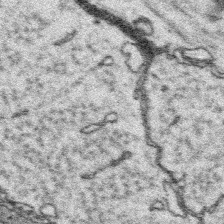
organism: Platynereis dumerilii